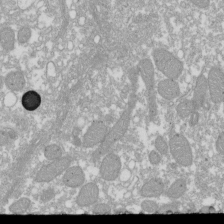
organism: Xenopus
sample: Cilia; centrioles in frog embryo cells